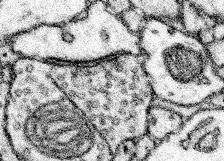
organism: Mouse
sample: Somatosensory cortex neuropil